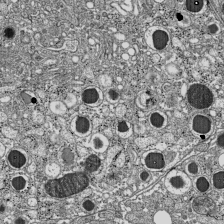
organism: C57BL Mouse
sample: Pancreatic islet